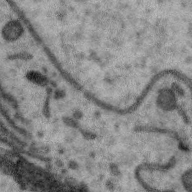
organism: Zebra finch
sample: Brain